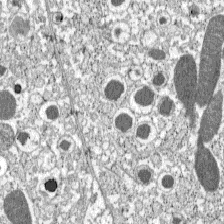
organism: C57BL Mouse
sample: Pancreatic islet